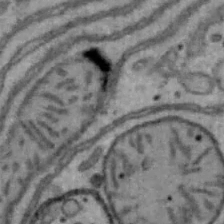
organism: Mouse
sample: Liver